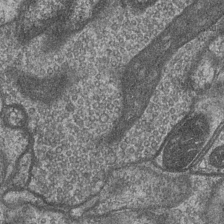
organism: Drosophila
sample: Optic medulla